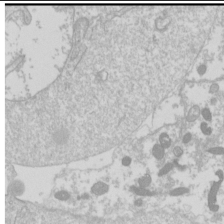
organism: Drosophila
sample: Cell division; meiosis; drosophila spermatocytes